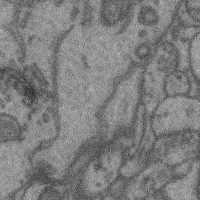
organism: Mouse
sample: Cerebral cortex